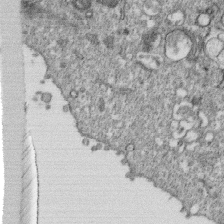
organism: African green monkey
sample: Vero E6 cells infected with SARS-CoV-2